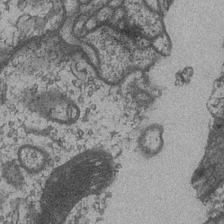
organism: Drosophila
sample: Optic medulla